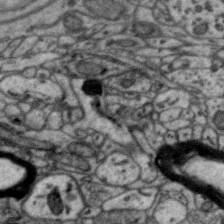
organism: Zebra finch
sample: Brain